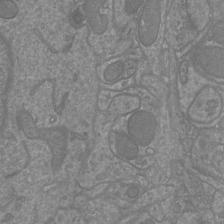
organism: Mouse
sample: Cortical neurons